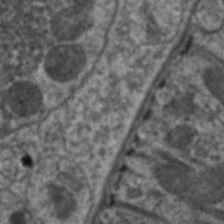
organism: C. elegans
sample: Pharynx